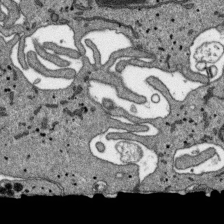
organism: Human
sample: Lung epithelial cells, uninfected (mock) control